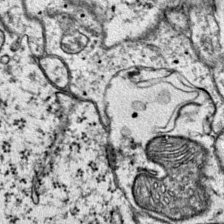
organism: Mouse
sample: Primary visual cortex